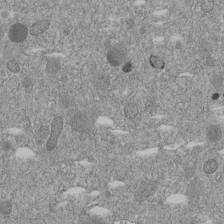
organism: C. elegans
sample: C. elegans embryo early stage